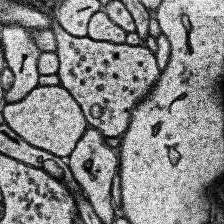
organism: Human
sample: Temporal Lobe